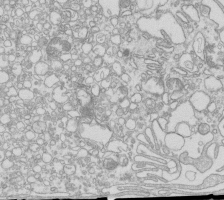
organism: Mouse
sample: Macrophages